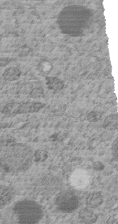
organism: C. elegans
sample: C. elegans embryo early stage